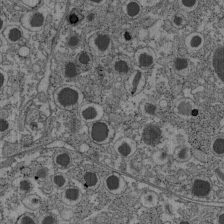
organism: C57BL Mouse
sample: Pancreatic islet